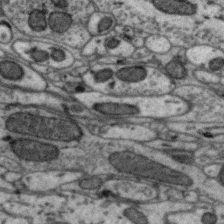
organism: Zebra finch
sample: Brain